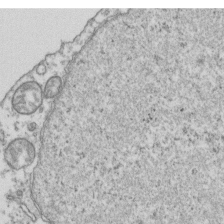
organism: Human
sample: Activated Jurkat CD4+ T cells